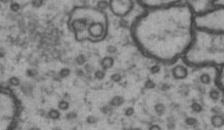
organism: Drosophila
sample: Brain